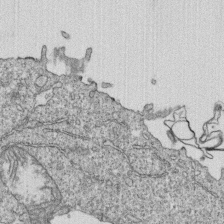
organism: Human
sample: HeLa cell HIV synapse